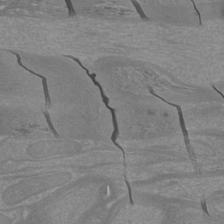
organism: Mouse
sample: Cortical neurons